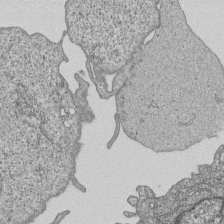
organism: Human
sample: MDA-MB-231 cells